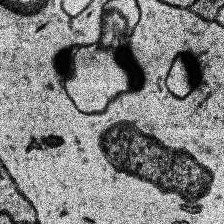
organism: Human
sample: Temporal Lobe